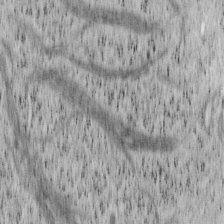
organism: Human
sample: HeLa cells